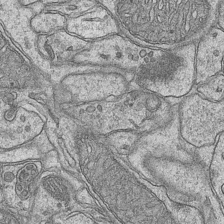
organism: Mouse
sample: CA1 Hippocampus